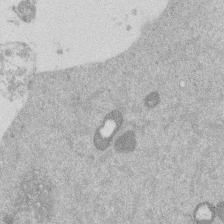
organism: Mouse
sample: Dividing mouse embryo 1 cell stage